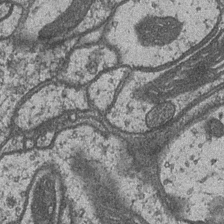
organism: Drosophila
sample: Optic medulla